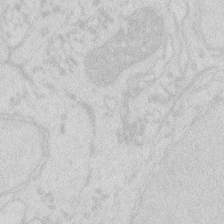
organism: Zebrafish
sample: Macrophage